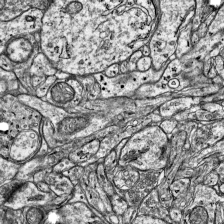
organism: Mouse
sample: Visual Cortex